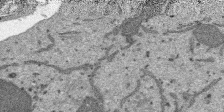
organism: Human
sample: Lung epithelial cells infected with SARS-CoV-2